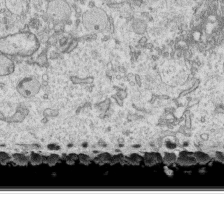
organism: Human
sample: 1205lu cells